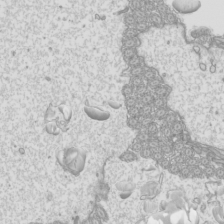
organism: Mouse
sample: Cilia; mouse epididymis